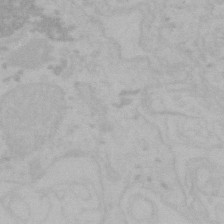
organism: Mouse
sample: Choroid plexus